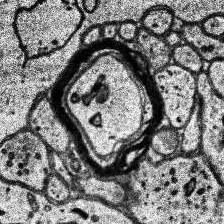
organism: Human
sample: Temporal Lobe